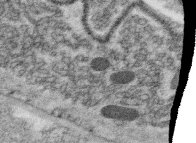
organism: C. elegans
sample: C. elegans oocyte; sperm cells